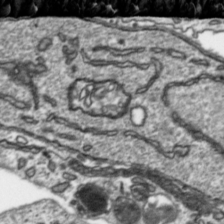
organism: Toxoplasma gondii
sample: Parasites in a vacuole inside a host cell